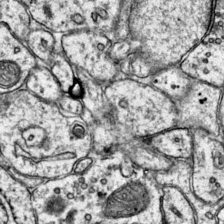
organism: Mouse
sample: Primary visual cortex